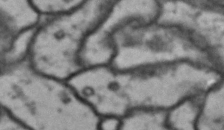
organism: Drosophila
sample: Brain